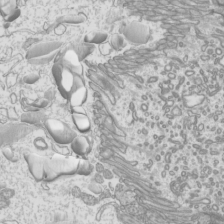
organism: Mouse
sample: Cilia; mouse epididymis